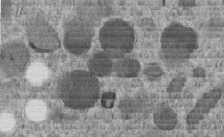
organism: C. elegans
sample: C. elegans embryo early stage